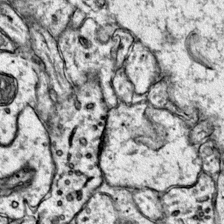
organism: Mouse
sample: Primary visual cortex